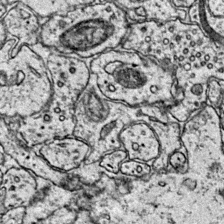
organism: Mouse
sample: Primary visual cortex